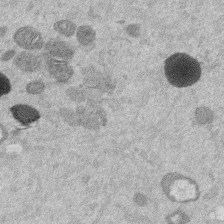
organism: Mouse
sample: Dividing mouse embryo 1 cell stage